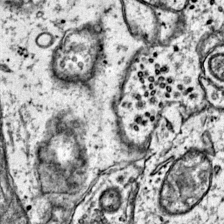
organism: Mouse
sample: Primary visual cortex